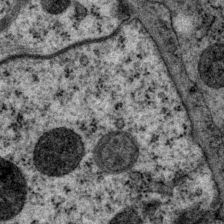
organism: P. pacificus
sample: Pharynx